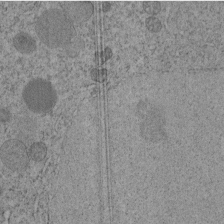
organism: C. elegans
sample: C. elegans embryo early stage